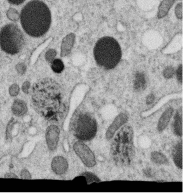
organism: C. elegans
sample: C. elegans oocyte; sperm cells